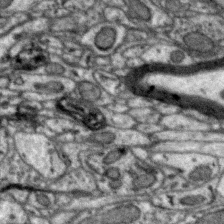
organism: Zebra finch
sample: Brain